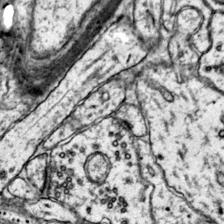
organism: Mouse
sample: Primary visual cortex